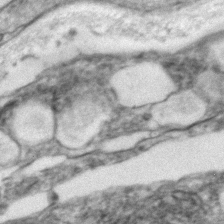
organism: Zebrafish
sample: Zebrafish embryo